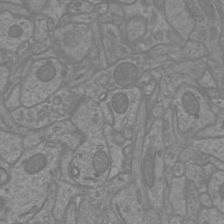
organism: Mouse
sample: Cortical neurons